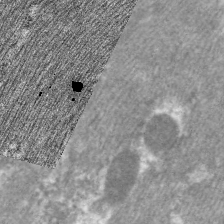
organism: C. elegans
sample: Pharynx